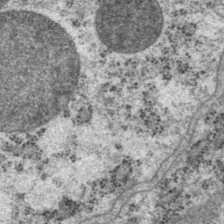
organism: P. pacificus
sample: Pharynx